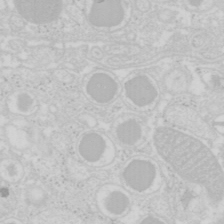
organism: Mouse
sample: Pancreas